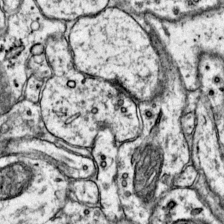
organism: Mouse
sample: Primary visual cortex